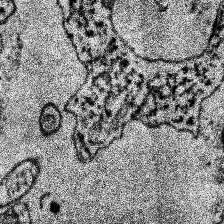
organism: Human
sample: Temporal Lobe